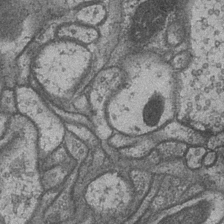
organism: Drosophila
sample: Optic medulla